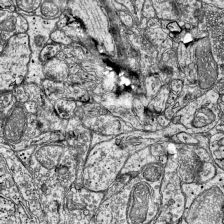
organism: Mouse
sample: Visual Cortex